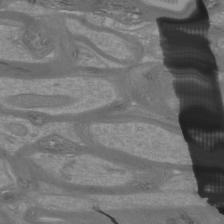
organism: Mouse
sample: Cortical neurons